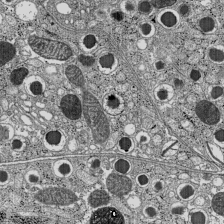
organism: C57BL Mouse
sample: Pancreatic islet